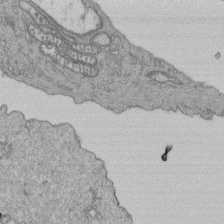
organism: Human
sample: Retinal organoid Rod and Cone cells